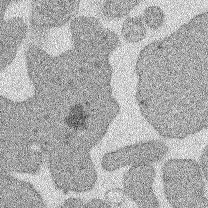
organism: Human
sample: HeLa cells